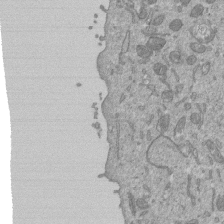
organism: Mouse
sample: ED-1 cell nuclei; centrioles